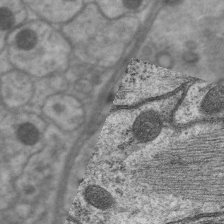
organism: C. elegans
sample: Pharynx